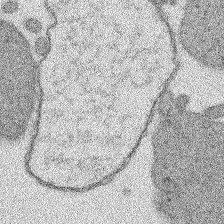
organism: Human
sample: HeLa cells